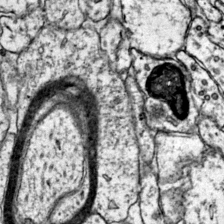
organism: Mouse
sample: Primary visual cortex